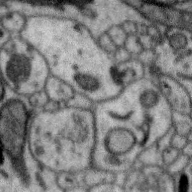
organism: Zebra finch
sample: Brain